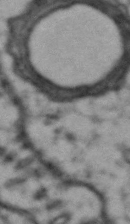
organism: Drosophila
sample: Brain